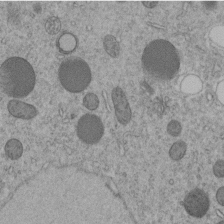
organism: C. elegans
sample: C. elegans embryo early stage